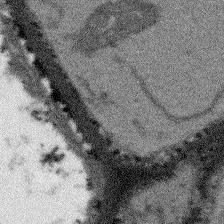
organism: Arabidopsis thaliana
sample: Root tip